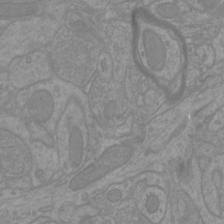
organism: Mouse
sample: Cortical neurons